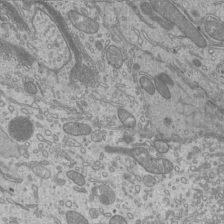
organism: Mouse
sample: Cilia; mouse epididymis